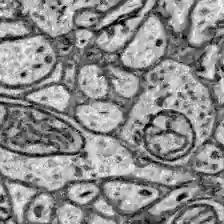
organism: Zebrafish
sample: Brain